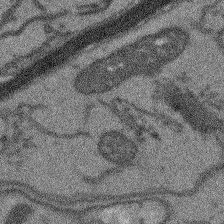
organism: Arabidopsis thaliana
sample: Root tip